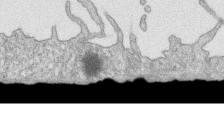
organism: Human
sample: HeLa cell HIV synapse